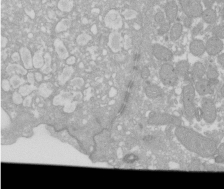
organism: Xenopus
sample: Cilia; centrioles in frog embryo cells